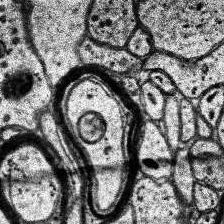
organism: Human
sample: Temporal Lobe